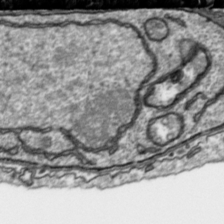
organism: Toxoplasma gondii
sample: Parasites in a vacuole inside a host cell